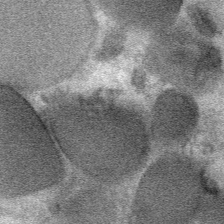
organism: Mouse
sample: Mouse Salivary gland